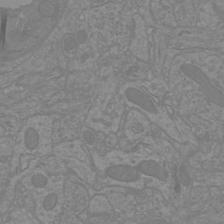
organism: Mouse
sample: Cortical neurons